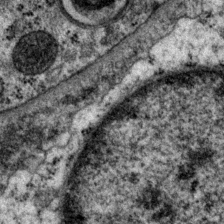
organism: P. pacificus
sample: Pharynx